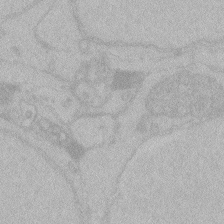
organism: Zebrafish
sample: Macrophage infected with Toxoplasma gondii